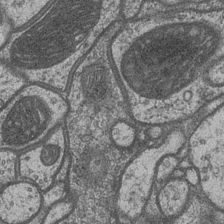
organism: Drosophila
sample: Optic medulla